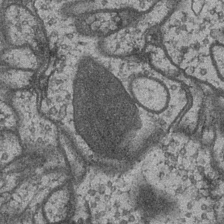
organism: Drosophila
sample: Optic medulla